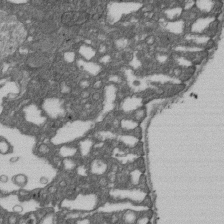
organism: Drosophila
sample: Nephrocyte